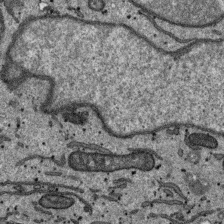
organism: Human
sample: Lung epithelial cells, uninfected (mock) control